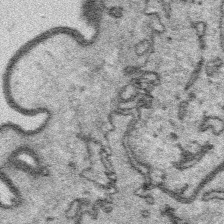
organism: Platynereis dumerilii